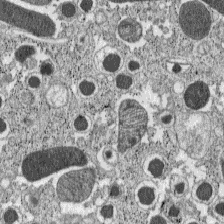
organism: C57BL Mouse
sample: Pancreatic islet